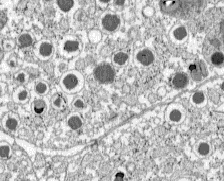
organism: C57BL Mouse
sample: Pancreatic islet